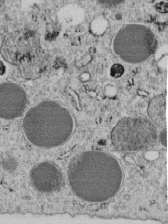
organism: C. elegans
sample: C. elegans embryo early stage